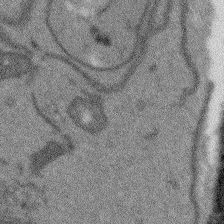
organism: Arabidopsis thaliana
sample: Root tip